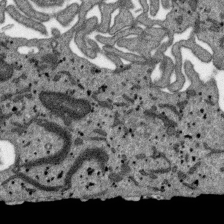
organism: Human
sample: Lung epithelial cells, uninfected (mock) control